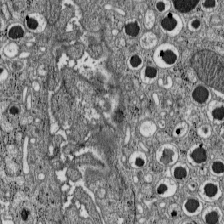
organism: C57BL Mouse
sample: Pancreatic islet